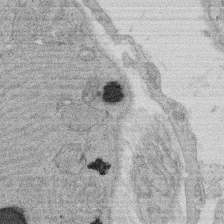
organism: Rat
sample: Salivary granule